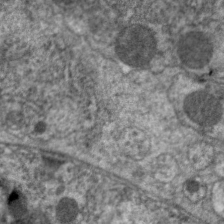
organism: C. elegans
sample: Pharynx